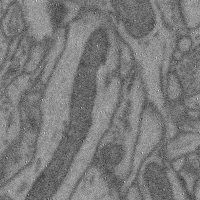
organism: Mouse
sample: Cerebral cortex